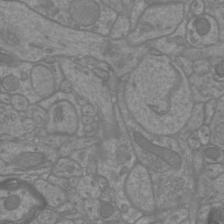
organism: Mouse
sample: Cortical neurons